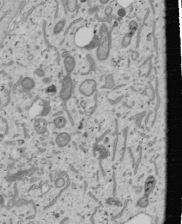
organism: Human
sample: Mitochondria in U2OS cells